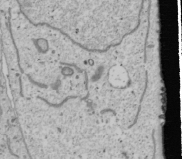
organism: Human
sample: Mitochondria in U2OS cells